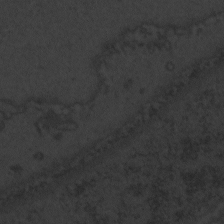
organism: Zebrafish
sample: Macrophage infected with Toxoplasma gondii